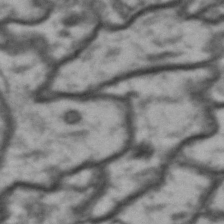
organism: Drosophila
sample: Brain